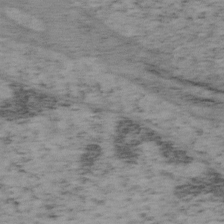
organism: Mouse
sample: OT-I killer T cells with ID8 ovarian cancer cells